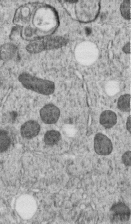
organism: C. elegans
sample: C. elegans embryo early stage